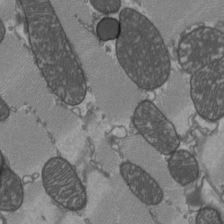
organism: C57BL Mouse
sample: Heart